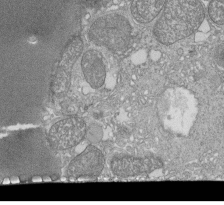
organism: Tetrahymena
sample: Cilia in tetrahymena